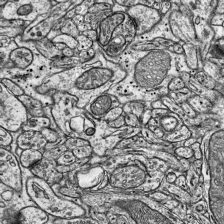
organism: Mouse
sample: Visual Cortex